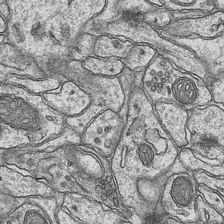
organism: Mouse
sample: CA1 Hippocampus